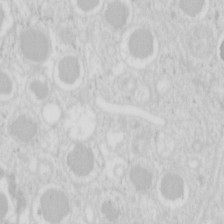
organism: Mouse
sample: Pancreas